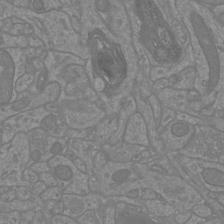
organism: Mouse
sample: Cortical neurons